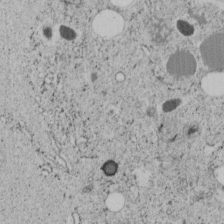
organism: C. elegans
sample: C. elegans embryo early stage